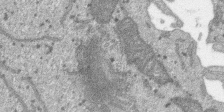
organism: Human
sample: Lung epithelial cells infected with SARS-CoV-2